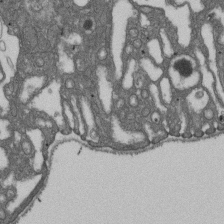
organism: Drosophila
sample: Nephrocyte